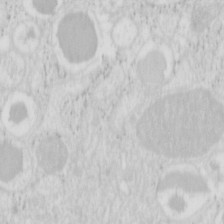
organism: Mouse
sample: Pancreas